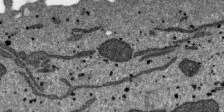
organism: Human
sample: Lung epithelial cells, uninfected (mock) control